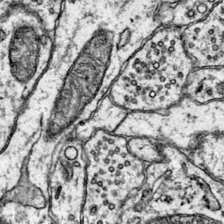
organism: Mouse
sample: Primary visual cortex